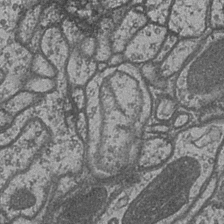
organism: Drosophila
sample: Optic medulla